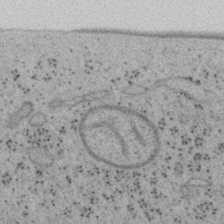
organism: Human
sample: HeLa cells